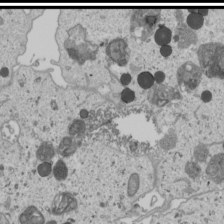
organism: Human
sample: Mitochondria in U2OS cells